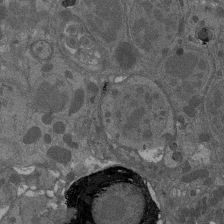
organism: Drosophila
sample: Antenna